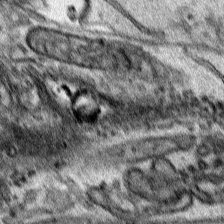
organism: Human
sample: Mitochondria in HCT116 cells